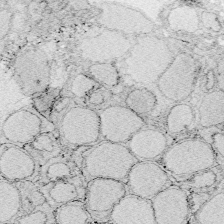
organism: Zebrafish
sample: Whole-Brain